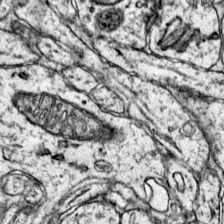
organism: Mouse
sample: Primary visual cortex